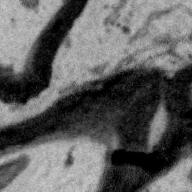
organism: Zebra finch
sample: Brain